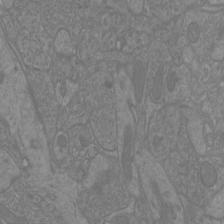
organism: Mouse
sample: Cortical neurons